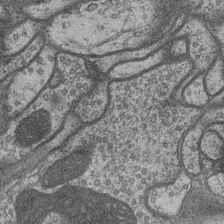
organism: Drosophila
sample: Optic medulla